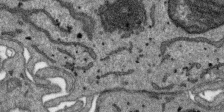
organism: Human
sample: Lung epithelial cells, uninfected (mock) control